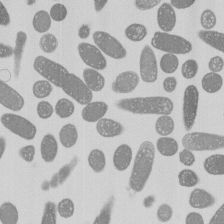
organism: E. coli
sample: Bacterial nucleoid